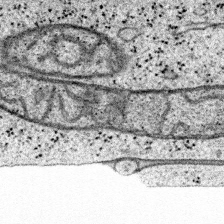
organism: Human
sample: HeLa cells